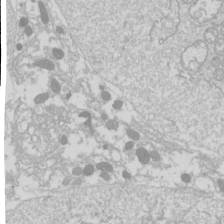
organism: Drosophila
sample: Cell division; meiosis; drosophila spermatocytes